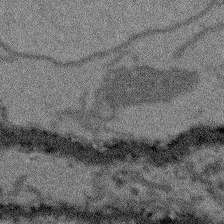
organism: Arabidopsis thaliana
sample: Root tip